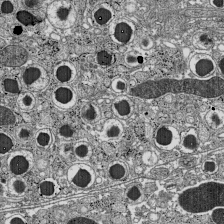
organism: C57BL Mouse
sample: Pancreatic islet